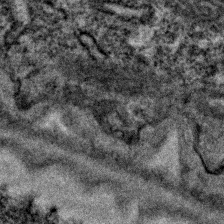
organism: C. elegans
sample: C. elegans embryo